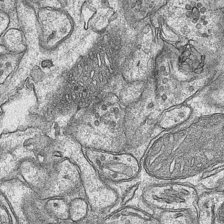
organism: Mouse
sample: CA1 Hippocampus